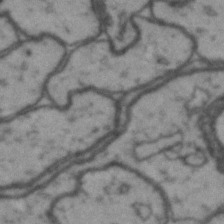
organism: Drosophila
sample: Brain